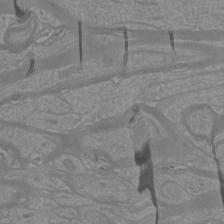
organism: Mouse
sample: Cortical neurons